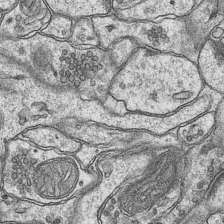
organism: Mouse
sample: CA1 Hippocampus